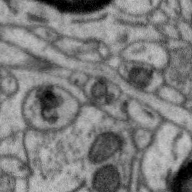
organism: Zebra finch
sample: Brain